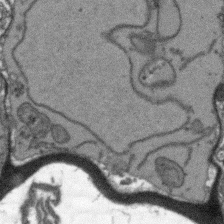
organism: Arabidopsis thaliana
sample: Root tip